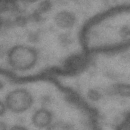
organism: Drosophila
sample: Brain